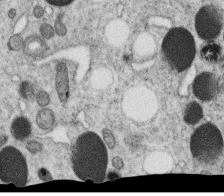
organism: C. elegans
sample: C. elegans oocyte; sperm cells